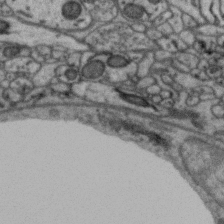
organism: Zebra finch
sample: Brain